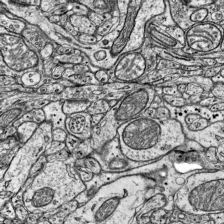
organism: Mouse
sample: Visual Cortex